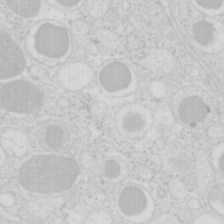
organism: Mouse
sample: Pancreas